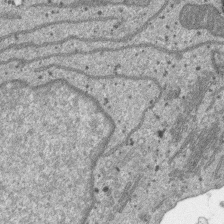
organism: Human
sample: Lung epithelial cells infected with SARS-CoV-2